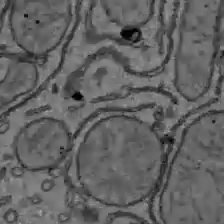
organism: C57BL Mouse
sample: Liver